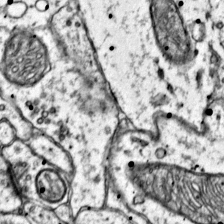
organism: Mouse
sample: Primary visual cortex